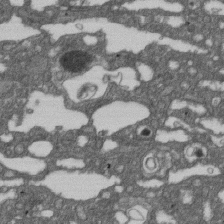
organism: Drosophila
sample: Nephrocyte